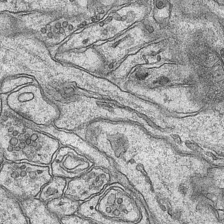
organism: Mouse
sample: CA1 Hippocampus